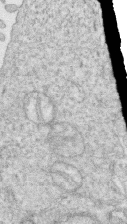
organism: Human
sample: HeLa cell HIV synapse